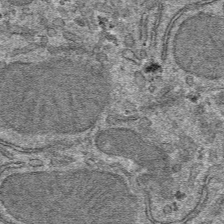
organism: Mouse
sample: Mouse hepatocytes